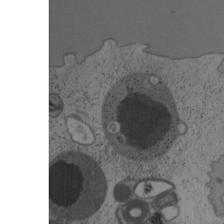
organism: Mouse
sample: OT-I killer T cells with ID8 ovarian cancer cells